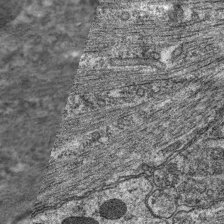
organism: C. elegans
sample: Pharynx